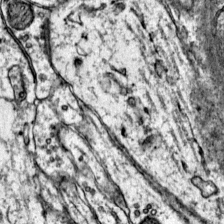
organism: Mouse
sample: Primary visual cortex